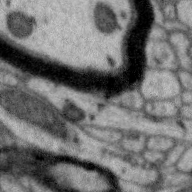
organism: Zebra finch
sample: Brain